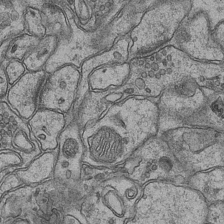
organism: Mouse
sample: CA1 Hippocampus